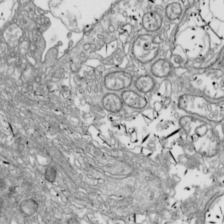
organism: Drosophila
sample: Cell division; meiosis; drosophila spermatocytes